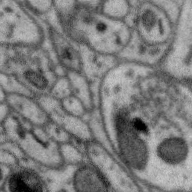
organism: Zebra finch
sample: Brain